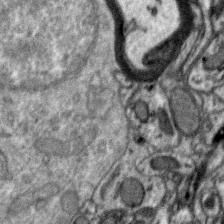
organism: Zebra finch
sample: Brain